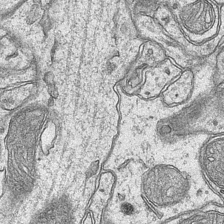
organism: Mouse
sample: CA1 Hippocampus